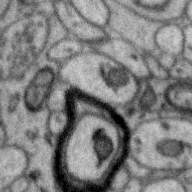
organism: Zebra finch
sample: Brain